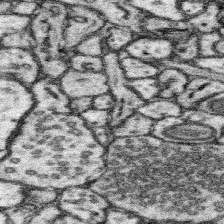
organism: Mouse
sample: Somatosensory cortex neuropil